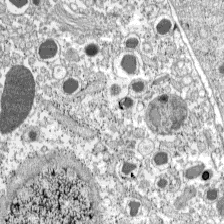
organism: C57BL Mouse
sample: Pancreatic islet